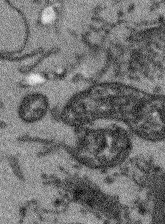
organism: Arabidopsis thaliana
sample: Root tip